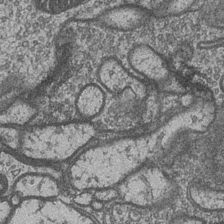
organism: Drosophila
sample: Optic medulla